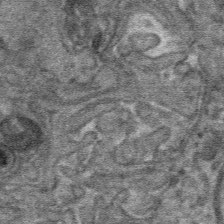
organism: Mouse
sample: Mouse hepatocytes